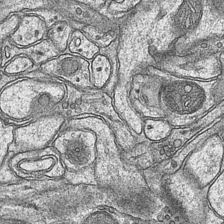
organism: Mouse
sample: CA1 Hippocampus